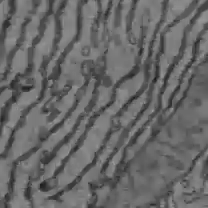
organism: C57BL Mouse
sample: Liver